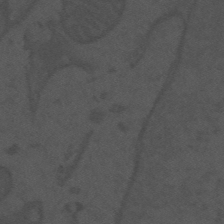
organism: Mouse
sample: Suprachiasmatic nucleus